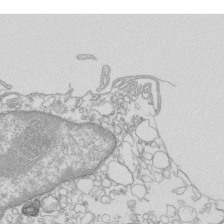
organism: Mouse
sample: Macrophages